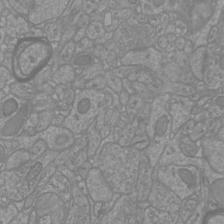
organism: Mouse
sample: Cortical neurons